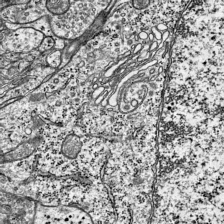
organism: Mouse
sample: Visual Cortex